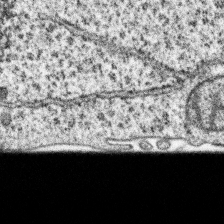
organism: Human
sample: HeLa cells